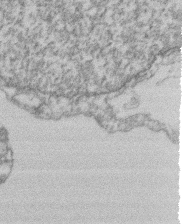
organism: Mouse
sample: T cell stromal cell synapse